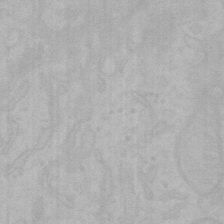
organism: Mouse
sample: Choroid plexus